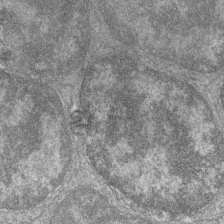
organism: Zebrafish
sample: Cilia; retinal pigment epithelium